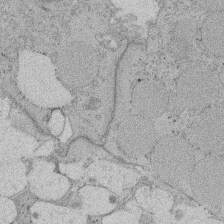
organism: Rat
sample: Salivary granule